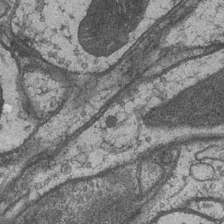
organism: Drosophila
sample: Optic medulla